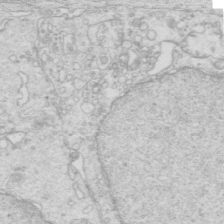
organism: Mouse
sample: Multiciliated cells